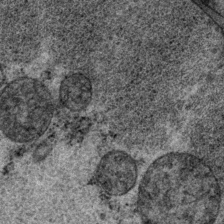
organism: P. pacificus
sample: Pharynx